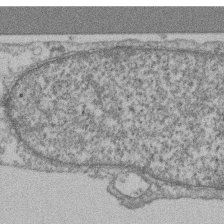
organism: Mouse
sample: T cell stromal cell synapse